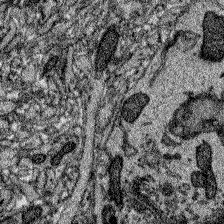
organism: Zebrafish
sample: Larval olfactory bulb